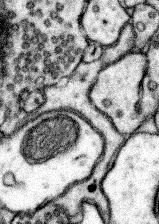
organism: Mouse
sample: Somatosensory cortex neuropil